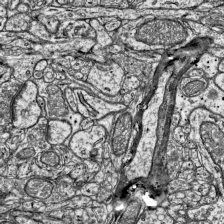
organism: Mouse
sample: Visual Cortex